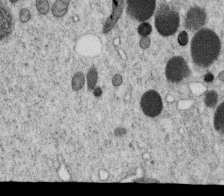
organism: C. elegans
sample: C. elegans oocyte; sperm cells